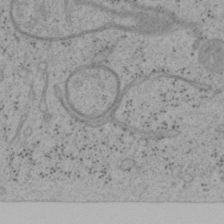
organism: Human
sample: HeLa cells